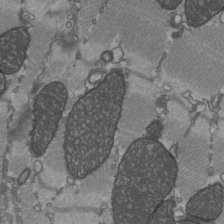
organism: C57BL Mouse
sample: Heart